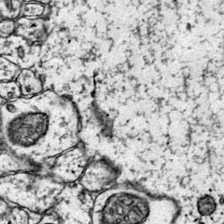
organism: Mouse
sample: Primary visual cortex